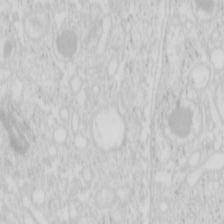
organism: Mouse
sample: Pancreas